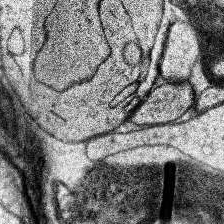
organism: Human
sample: Temporal Lobe